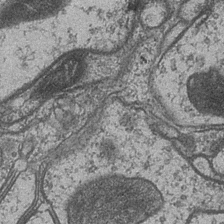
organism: Drosophila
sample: Optic medulla